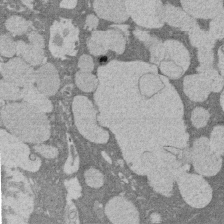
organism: Rat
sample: Salivary granule